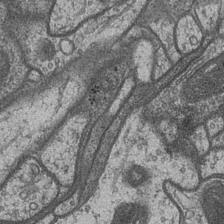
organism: Drosophila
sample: Optic medulla